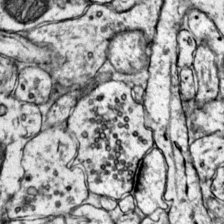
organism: Mouse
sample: Primary visual cortex